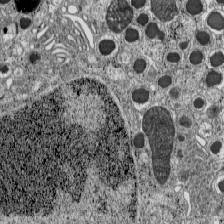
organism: C57BL Mouse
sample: Pancreatic islet